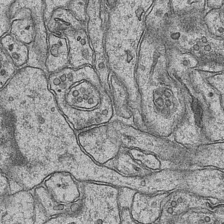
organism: Mouse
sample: CA1 Hippocampus